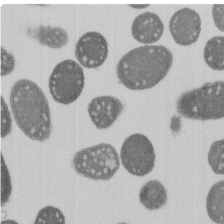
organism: E. coli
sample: Bacterial nucleoid